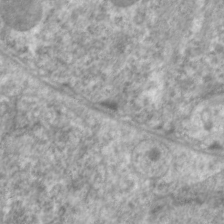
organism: C. elegans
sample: Pharynx